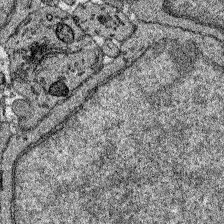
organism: Zebrafish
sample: Larval olfactory bulb